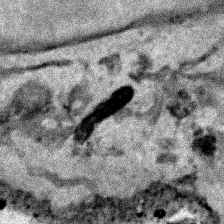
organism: Human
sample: Mitochondria in HCT116 cells